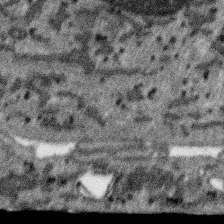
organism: Human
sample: Lung epithelial cells infected with SARS-CoV-2